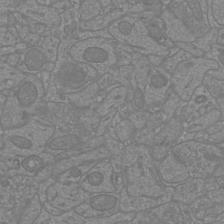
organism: Mouse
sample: Cortical neurons